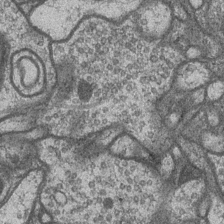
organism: Drosophila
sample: Optic medulla